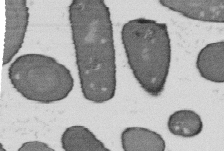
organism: B. subtilis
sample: Bacterial spore